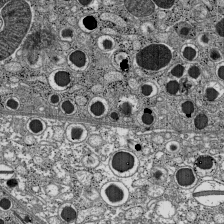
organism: C57BL Mouse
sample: Pancreatic islet